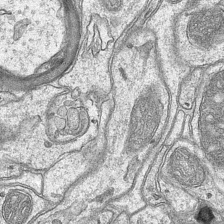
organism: Mouse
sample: CA1 Hippocampus